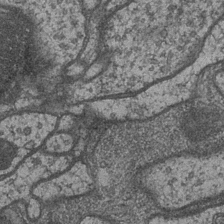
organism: Drosophila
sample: Optic medulla